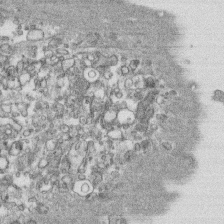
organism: Human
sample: CRL-1474